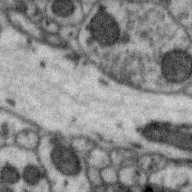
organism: Zebra finch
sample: Brain